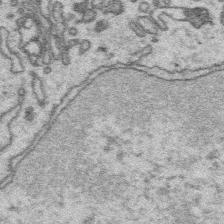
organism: Platynereis dumerilii